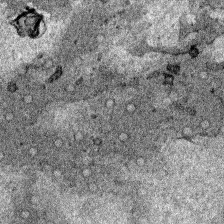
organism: Human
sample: Mitochondria in HCT116 cells